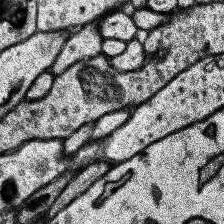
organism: Human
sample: Temporal Lobe